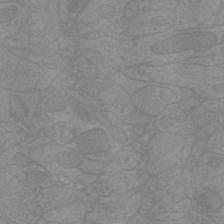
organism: Mouse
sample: Cortical neurons